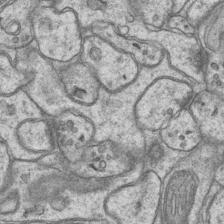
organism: Mouse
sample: CA1 Hippocampus